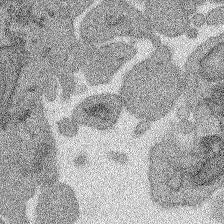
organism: Human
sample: HeLa cells